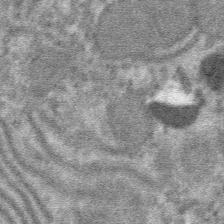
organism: Mouse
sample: Mouse hepatocytes